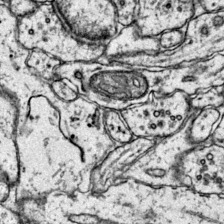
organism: Mouse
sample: Primary visual cortex